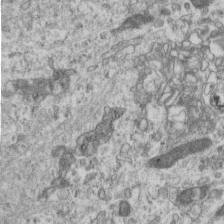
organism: Mouse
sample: Centriole in ependymal cells